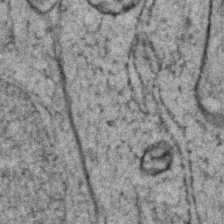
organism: Zebrafish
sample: Zebrafish embryo